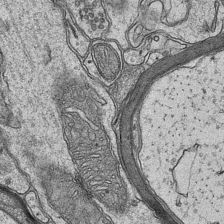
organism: Mouse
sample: CA1 Hippocampus